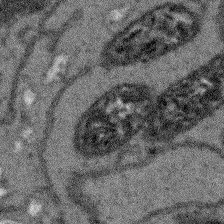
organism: Arabidopsis thaliana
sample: Root tip